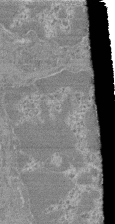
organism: Mouse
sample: Glomerulus